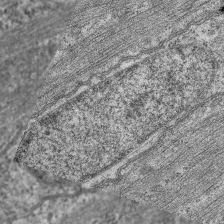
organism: C. elegans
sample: Pharynx